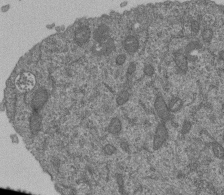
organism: Human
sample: Retinal organoid Rod and Cone cells